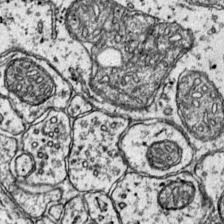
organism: Mouse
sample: Primary visual cortex